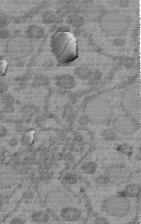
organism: C. elegans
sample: C. elegans embryo early stage